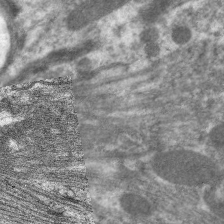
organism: C. elegans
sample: Pharynx